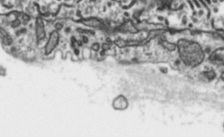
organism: Toxoplasma gondii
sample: Parasites in a vacuole inside a host cell